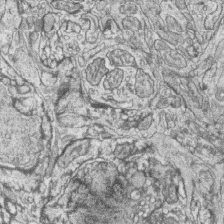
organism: Zebrafish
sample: synaptic ribbons in rod cells and cone cells